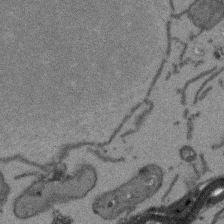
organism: Arabidopsis thaliana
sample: Root tip